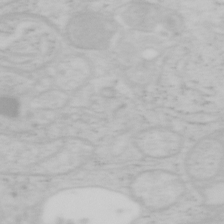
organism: Mouse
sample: OT-I killer T cells with ID8 ovarian cancer cells